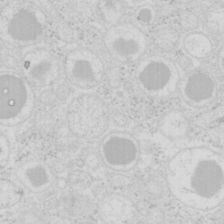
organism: Mouse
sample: Pancreas